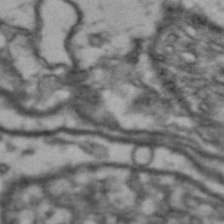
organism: Drosophila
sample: Brain